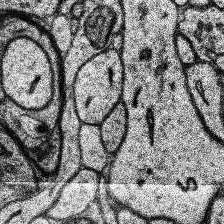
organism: Human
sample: Temporal Lobe